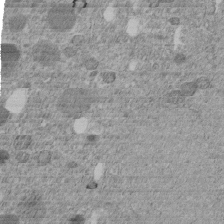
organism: C. elegans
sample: C. elegans embryo early stage